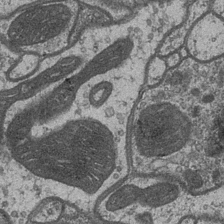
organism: Drosophila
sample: Optic medulla